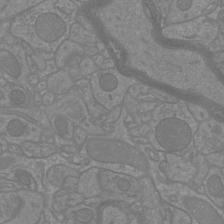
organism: Mouse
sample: Cortical neurons